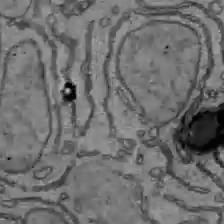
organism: C57BL Mouse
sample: Liver